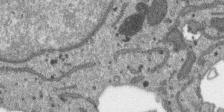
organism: Human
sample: Lung epithelial cells infected with SARS-CoV-2